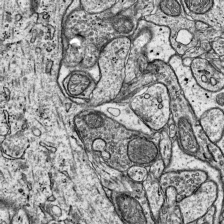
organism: Mouse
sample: Visual Cortex